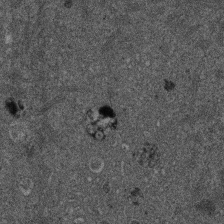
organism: Mouse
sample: Dividing mouse embryo 1 cell stage